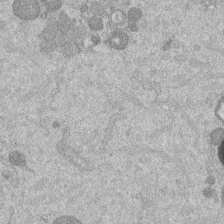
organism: Mouse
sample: Dividing mouse embryo 1 cell stage